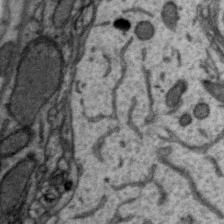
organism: Zebra finch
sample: Brain